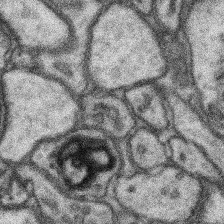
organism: Mouse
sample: Somatosensory cortex neuropil